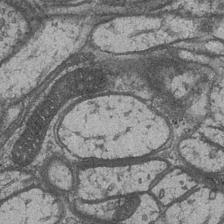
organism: Drosophila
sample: Optic medulla